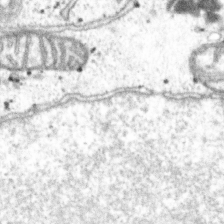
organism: Human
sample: HeLa cells